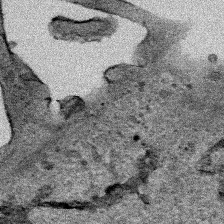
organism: Human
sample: Mitochondria in HCT116 cells